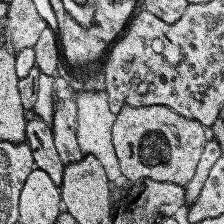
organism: Human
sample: Temporal Lobe